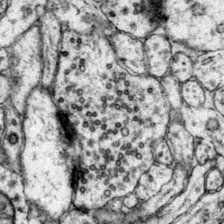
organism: Mouse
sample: Primary visual cortex